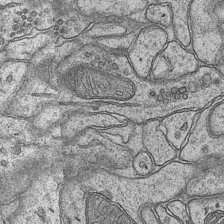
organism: Mouse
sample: CA1 Hippocampus